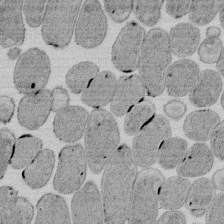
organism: E. coli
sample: Bacterial nucleoid